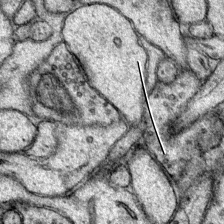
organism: Mouse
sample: Primary visual cortex